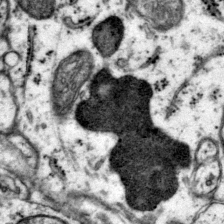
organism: Mouse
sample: Primary visual cortex